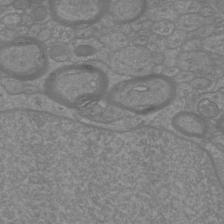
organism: Mouse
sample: Cortical neurons